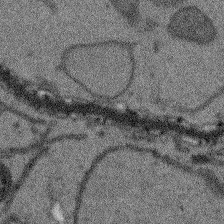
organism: Arabidopsis thaliana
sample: Root tip